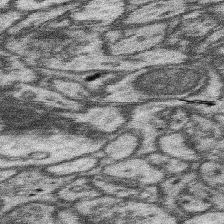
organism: Mouse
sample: Somatosensory cortex neuropil